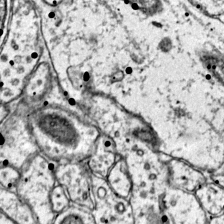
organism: Mouse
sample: Primary visual cortex